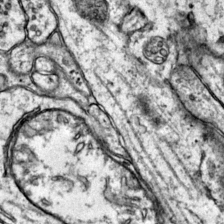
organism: Mouse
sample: Primary visual cortex